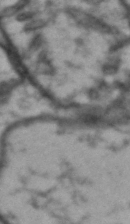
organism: Drosophila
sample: Brain